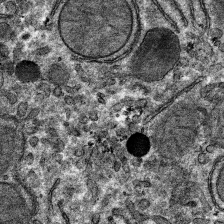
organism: Mouse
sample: Mouse hepatocytes